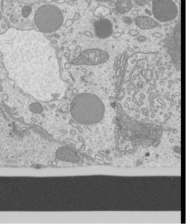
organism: Mouse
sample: Cilia; mouse epididymis